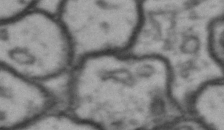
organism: Drosophila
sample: Brain